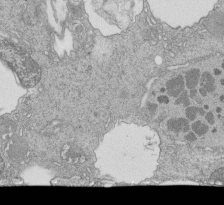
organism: Tetrahymena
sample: Cilia in tetrahymena